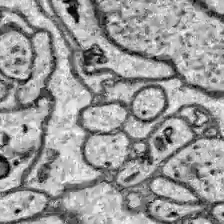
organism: Zebrafish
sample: Brain